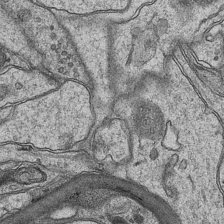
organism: Mouse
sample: CA1 Hippocampus